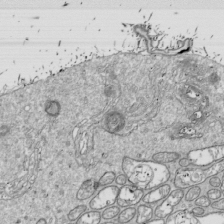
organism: Drosophila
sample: Cell division; meiosis; drosophila spermatocytes